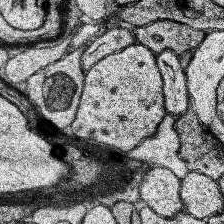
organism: Human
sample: Temporal Lobe